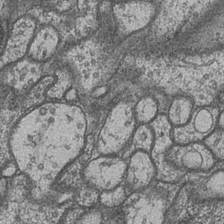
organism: Drosophila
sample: Optic medulla